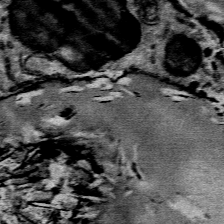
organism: Mouse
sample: Mouse Salivary gland